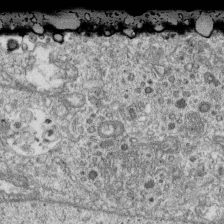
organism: Human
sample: HeLa cell HIV synapse